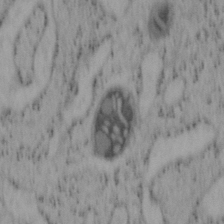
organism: Mouse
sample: OT-I killer T cells with ID8 ovarian cancer cells